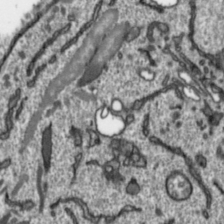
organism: Toxoplasma gondii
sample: Parasites in a vacuole inside a host cell